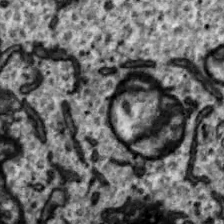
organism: Human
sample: HeLa cells